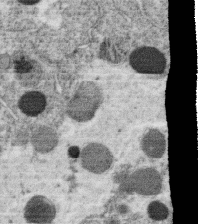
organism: C. elegans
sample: C. elegans oocyte; sperm cells